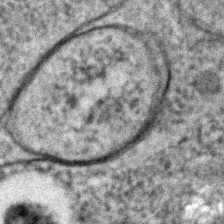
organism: C. elegans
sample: C. elegans embryo